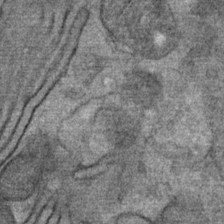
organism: Mouse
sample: Mouse Salivary gland